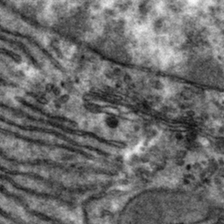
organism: Mouse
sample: Mouse hepatocytes